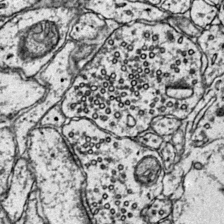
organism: Mouse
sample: Primary visual cortex